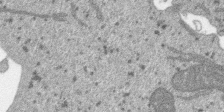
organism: Human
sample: Lung epithelial cells infected with SARS-CoV-2